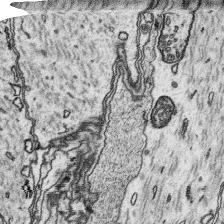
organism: Platynereis dumerilii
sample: Parapodia